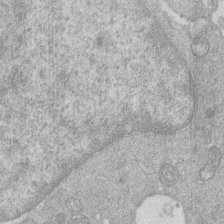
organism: Human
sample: Macrophage cells